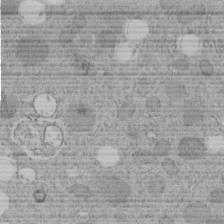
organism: C. elegans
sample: C. elegans embryo early stage